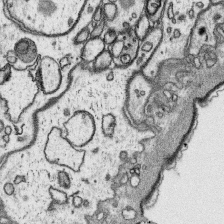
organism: Platynereis dumerilii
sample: Parapodia